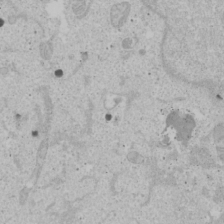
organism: Human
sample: Mitochondria in U2OS cells